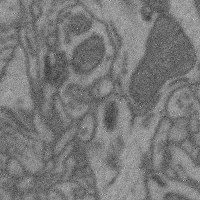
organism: Mouse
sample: Cerebral cortex